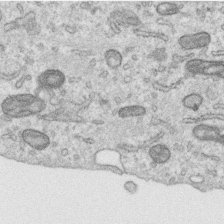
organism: Human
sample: Centriole in RPE cells